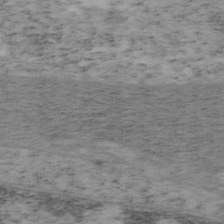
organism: Mouse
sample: OT-I killer T cells with ID8 ovarian cancer cells